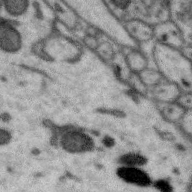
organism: Zebra finch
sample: Brain